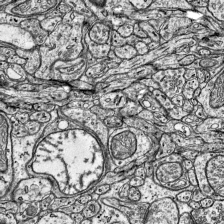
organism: Mouse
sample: Visual Cortex